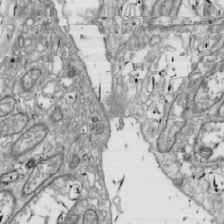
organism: Drosophila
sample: Cell division; meiosis; drosophila spermatocytes